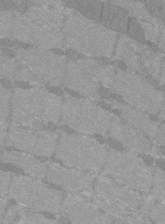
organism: C57BL Mouse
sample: Tibialis anterior muscle cell